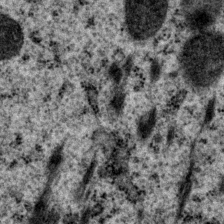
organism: P. pacificus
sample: Pharynx